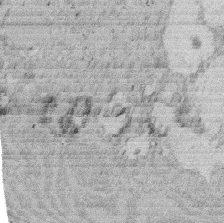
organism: Rat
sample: Salivary granule